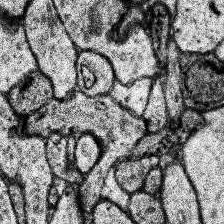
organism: Human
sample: Temporal Lobe